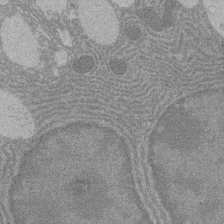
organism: Rat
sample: Salivary granule